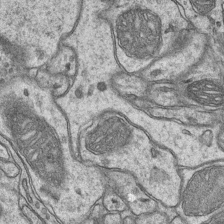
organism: Mouse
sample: CA1 Hippocampus